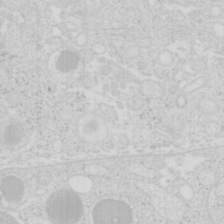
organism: Mouse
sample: Pancreas